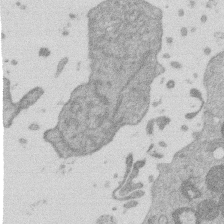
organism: Mouse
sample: Dividing mouse embryo 1 cell stage